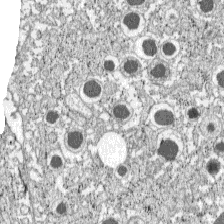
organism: C57BL Mouse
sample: Pancreatic islet